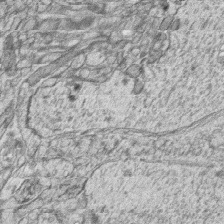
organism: Zebrafish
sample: synaptic ribbons in rod cells and cone cells